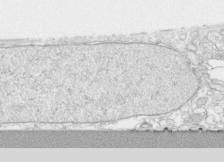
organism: Human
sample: CRL-1474